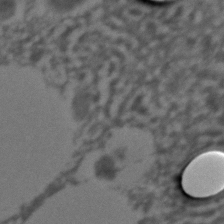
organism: C. elegans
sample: C. elegans embryo